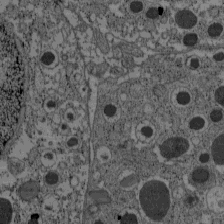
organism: C57BL Mouse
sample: Pancreatic islet